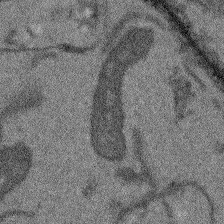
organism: Arabidopsis thaliana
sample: Root tip